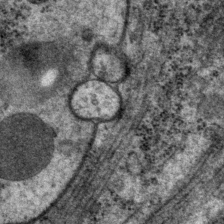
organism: P. pacificus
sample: Pharynx